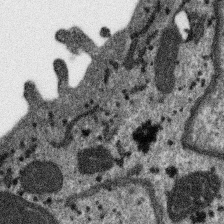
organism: Human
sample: Lung epithelial cells infected with SARS-CoV-2